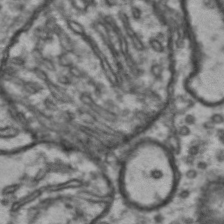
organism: Drosophila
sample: Brain